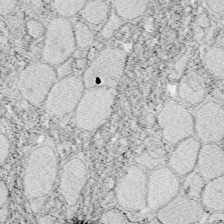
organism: Zebrafish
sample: Whole-Brain